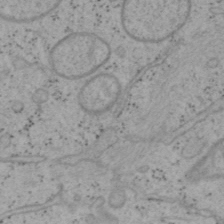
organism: Human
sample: HeLa cells